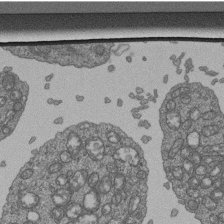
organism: Human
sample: Retinal organoid Rod and Cone cells